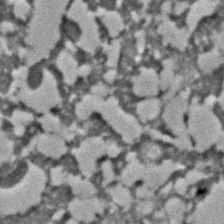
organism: C. elegans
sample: C. elegans embryo